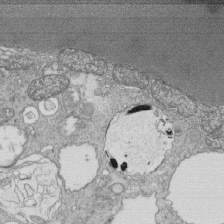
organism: Tetrahymena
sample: Cilia in tetrahymena